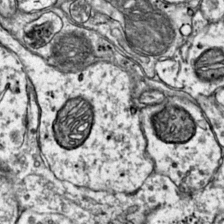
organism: Mouse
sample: Primary visual cortex